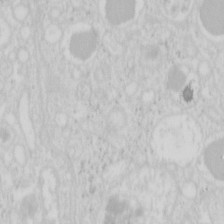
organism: Mouse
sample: Pancreas